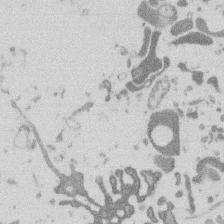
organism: Mouse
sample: Dividing mouse embryo 1 cell stage